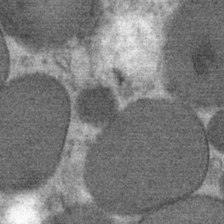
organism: Mouse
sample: Mouse Salivary gland